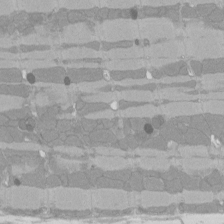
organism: Rat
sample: Left ventricle